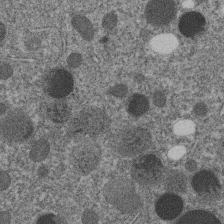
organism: C. elegans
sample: C. elegans embryo early stage